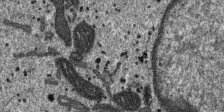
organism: Human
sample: Lung epithelial cells infected with SARS-CoV-2